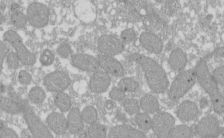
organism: Xenopus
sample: Cilia; centrioles in frog embryo cells